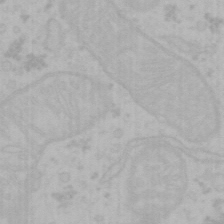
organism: Mouse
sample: Choroid plexus